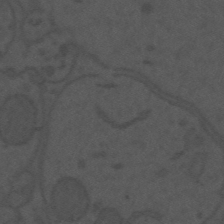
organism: Mouse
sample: Suprachiasmatic nucleus